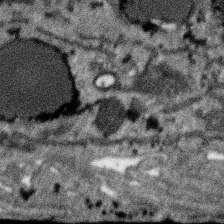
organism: Human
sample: Lung epithelial cells infected with SARS-CoV-2